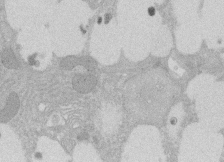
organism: Rat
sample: Salivary granule